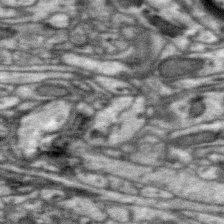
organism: Zebra finch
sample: Brain